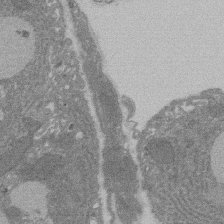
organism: Rat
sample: Salivary granule